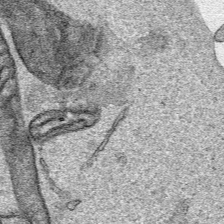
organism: Human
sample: Mitochondria in HCT116 cells